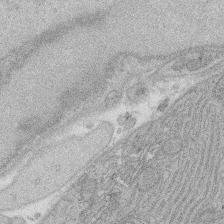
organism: Rat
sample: Salivary granule